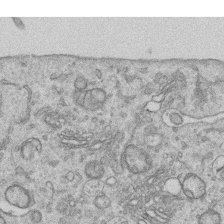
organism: Human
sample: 1205lu cells